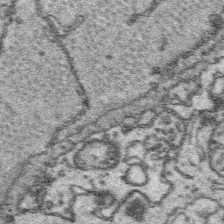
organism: Platynereis dumerilii